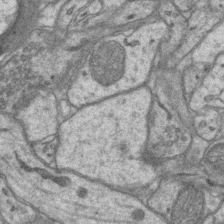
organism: Mouse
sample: CA1 Hippocampus